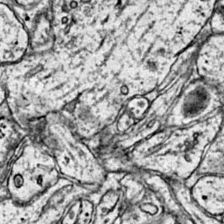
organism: Mouse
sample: Primary visual cortex